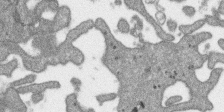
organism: Human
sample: Lung epithelial cells infected with SARS-CoV-2